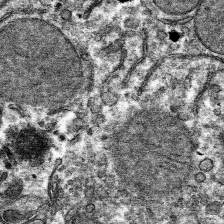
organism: Mouse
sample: Mouse hepatocytes